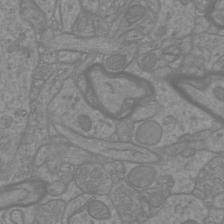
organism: Mouse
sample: Cortical neurons